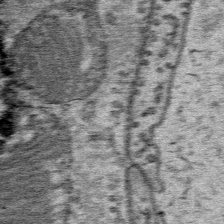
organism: Mouse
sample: Mouse Salivary gland